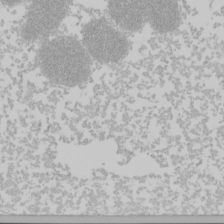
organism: Mouse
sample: Cancer cell death in ED-1 cells